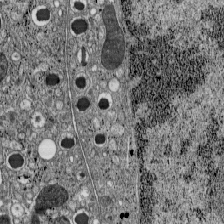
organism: C57BL Mouse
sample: Pancreatic islet